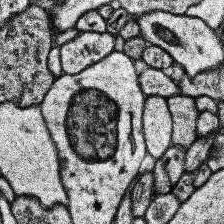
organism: Human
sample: Temporal Lobe